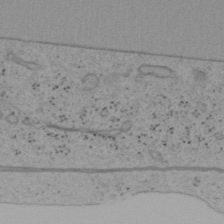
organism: Human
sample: HeLa cells